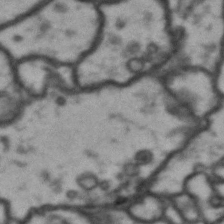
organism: Drosophila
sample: Brain